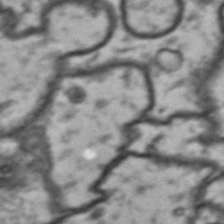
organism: Drosophila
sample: Brain